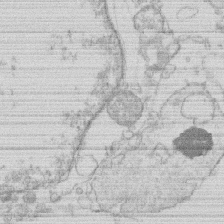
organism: Human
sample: Macrophage cells